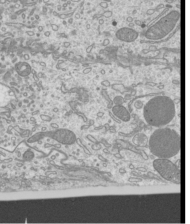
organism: Mouse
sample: Cilia; mouse epididymis